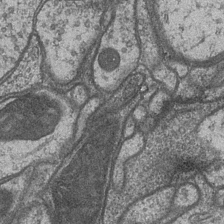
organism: Drosophila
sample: Optic medulla